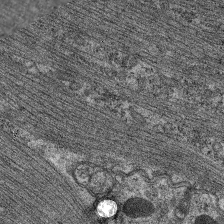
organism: C. elegans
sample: Pharynx